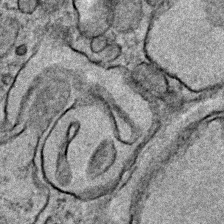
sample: Trachea